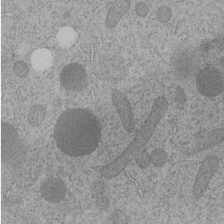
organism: C. elegans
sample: C. elegans embryo early stage